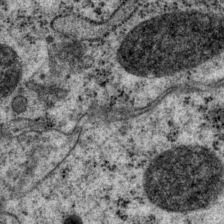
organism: P. pacificus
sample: Pharynx